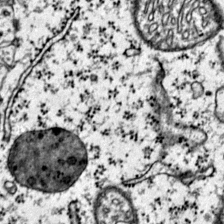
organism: Mouse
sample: Primary visual cortex